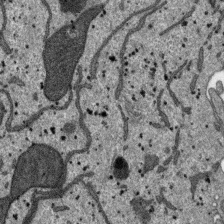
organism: Human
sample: Lung epithelial cells, uninfected (mock) control